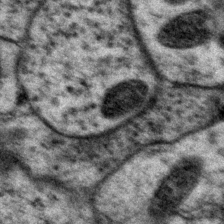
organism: P. pacificus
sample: Pharynx